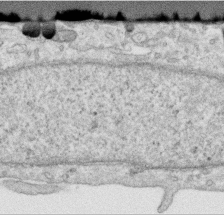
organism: Human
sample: Centriole in RPE cells